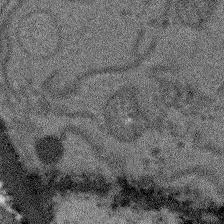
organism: Arabidopsis thaliana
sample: Root tip